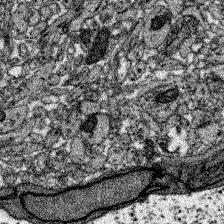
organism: Zebrafish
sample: Larval olfactory bulb